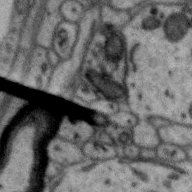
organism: Zebra finch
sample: Brain